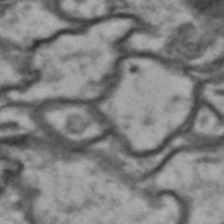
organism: Drosophila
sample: Brain